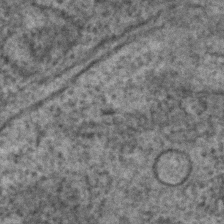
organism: C. elegans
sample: C. elegans embryo